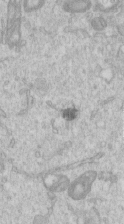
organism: Human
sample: Centriole in RPE cells